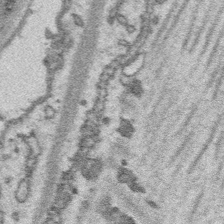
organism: Platynereis dumerilii